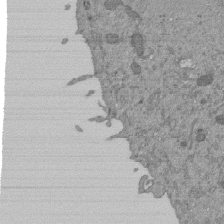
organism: Mouse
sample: ED-1 cell nuclei; centrioles